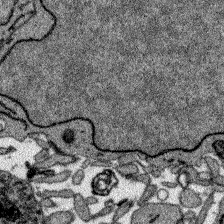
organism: Zebrafish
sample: Larval olfactory bulb